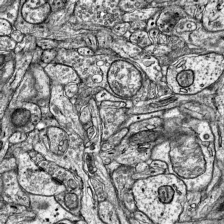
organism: Mouse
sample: Visual Cortex